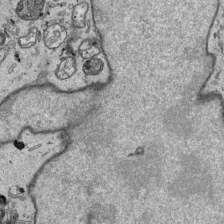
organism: Human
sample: Mitochondria in HCT116 cells